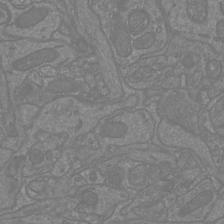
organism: Mouse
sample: Cortical neurons